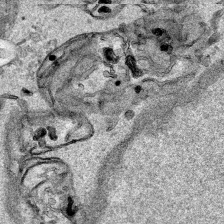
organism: Human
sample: Mitochondria in HCT116 cells